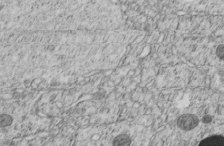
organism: C. elegans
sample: C. elegans embryo early stage